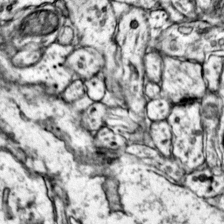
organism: Mouse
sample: Primary visual cortex